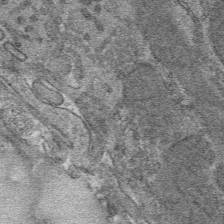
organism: Mouse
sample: Mouse hepatocytes